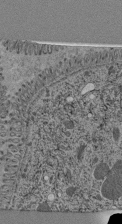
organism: C. elegans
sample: C. elegans pharynx